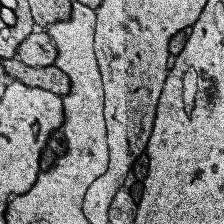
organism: Human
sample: Temporal Lobe